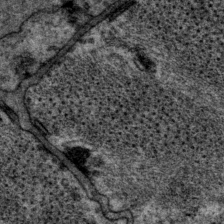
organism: P. pacificus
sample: Pharynx